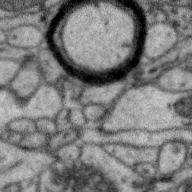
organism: Zebra finch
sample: Brain